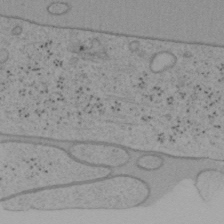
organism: Human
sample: HeLa cells